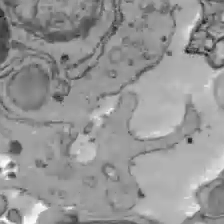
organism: C57BL Mouse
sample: Liver